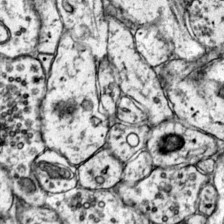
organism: Mouse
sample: Primary visual cortex